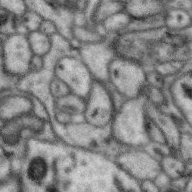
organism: Zebra finch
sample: Brain